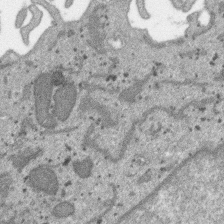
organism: Human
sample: Lung epithelial cells infected with SARS-CoV-2